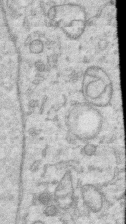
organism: Human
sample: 1205lu cells